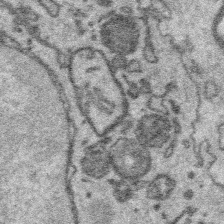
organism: Platynereis dumerilii